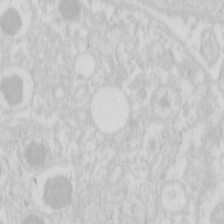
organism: Mouse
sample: Pancreas